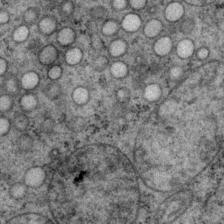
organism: P. pacificus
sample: Pharynx